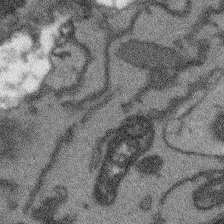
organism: Arabidopsis thaliana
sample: Root tip